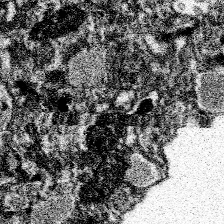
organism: Spongilla lacustris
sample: Neuroid cell